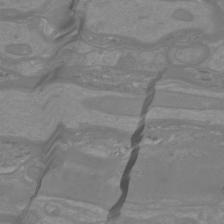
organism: Mouse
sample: Cortical neurons